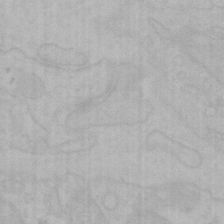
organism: Mouse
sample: Choroid plexus